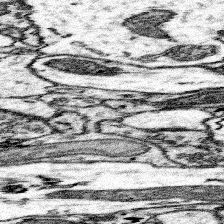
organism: Mouse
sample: Somatosensory cortex neuropil